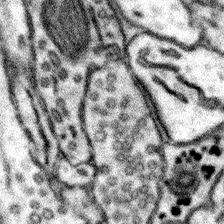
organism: Mouse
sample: Somatosensory cortex neuropil